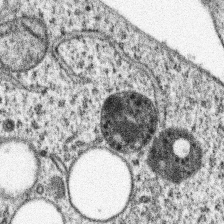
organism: Human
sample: HeLa cells